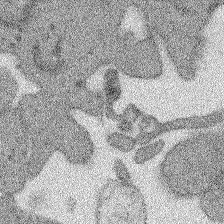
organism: Human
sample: HeLa cells